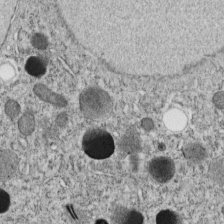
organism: C. elegans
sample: C. elegans embryo early stage